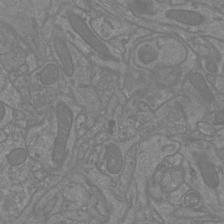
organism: Mouse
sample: Cortical neurons